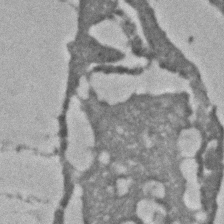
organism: C. elegans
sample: C. elegans embryo